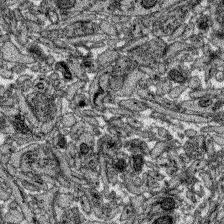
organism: Zebrafish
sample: Larval olfactory bulb